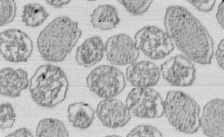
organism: E. coli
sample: Bacterial nucleoid